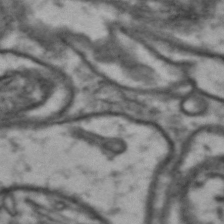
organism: Drosophila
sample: Brain